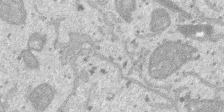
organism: Human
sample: Lung epithelial cells infected with SARS-CoV-2